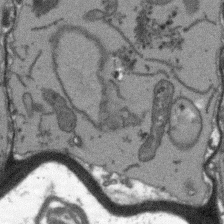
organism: Arabidopsis thaliana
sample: Root tip